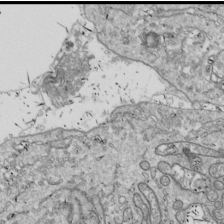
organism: Drosophila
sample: Cell division; meiosis; drosophila spermatocytes